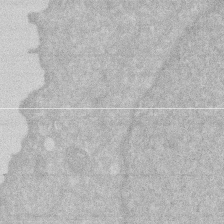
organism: Human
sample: HIV infected U937 cells